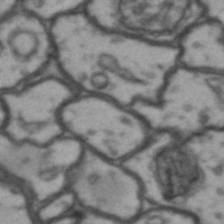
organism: Drosophila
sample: Brain